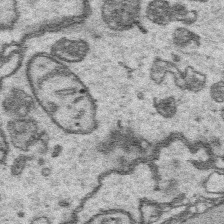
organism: Platynereis dumerilii